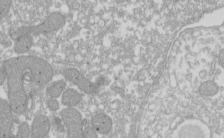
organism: Xenopus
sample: Cilia; centrioles in frog embryo cells